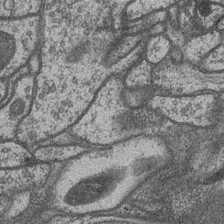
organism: Drosophila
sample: Optic medulla